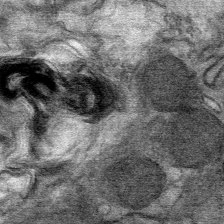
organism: Mouse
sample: Mouse Salivary gland